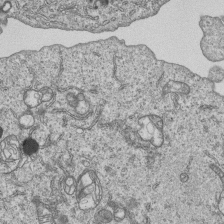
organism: Human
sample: MDA-MB-231 cells